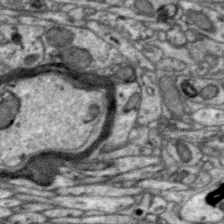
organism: Zebra finch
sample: Brain